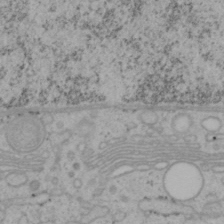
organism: Human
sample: HeLa cells